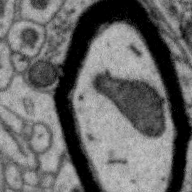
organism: Zebra finch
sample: Brain